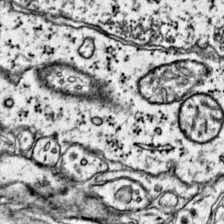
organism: Mouse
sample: Primary visual cortex